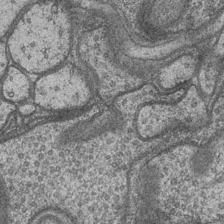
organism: Drosophila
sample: Optic medulla